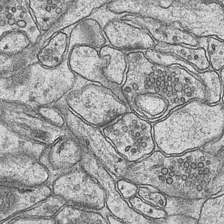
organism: Mouse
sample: CA1 Hippocampus